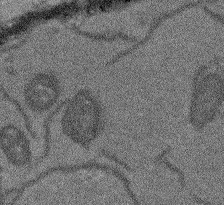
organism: Arabidopsis thaliana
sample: Root tip